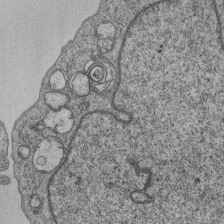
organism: Human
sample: MDA-MB-231 cells